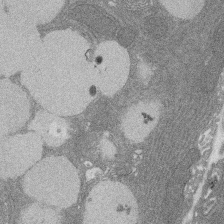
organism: Rat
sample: Salivary granule